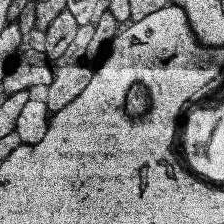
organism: Human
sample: Temporal Lobe